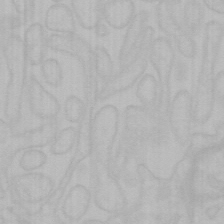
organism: Mouse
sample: Choroid plexus